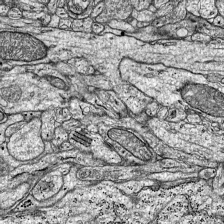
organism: Mouse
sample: Visual Cortex